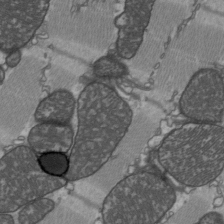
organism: C57BL Mouse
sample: Heart